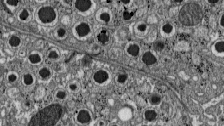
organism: C57BL Mouse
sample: Pancreatic islet